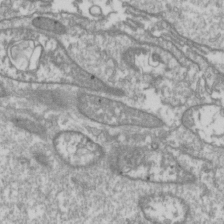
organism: Drosophila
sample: Cell division; meiosis; drosophila spermatocytes